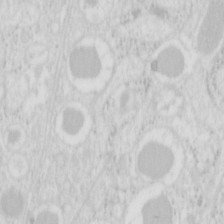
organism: Mouse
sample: Pancreas